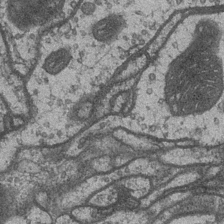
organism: Drosophila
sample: Optic medulla